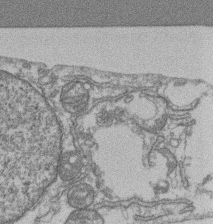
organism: Mouse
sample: T cell stromal cell synapse